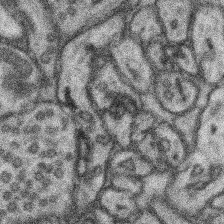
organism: Mouse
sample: Somatosensory cortex neuropil